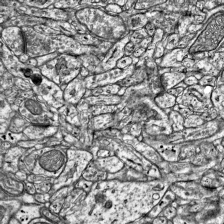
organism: Mouse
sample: Visual Cortex